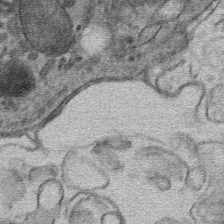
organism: Mouse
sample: Mouse hepatocytes